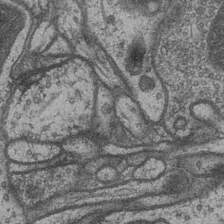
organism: Drosophila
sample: Optic medulla